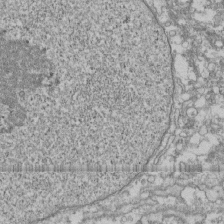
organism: Human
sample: Fibroblast cells